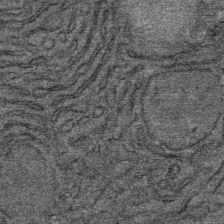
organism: Mouse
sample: Mouse Salivary gland